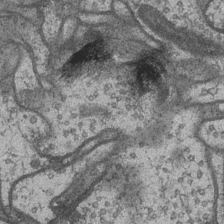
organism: Drosophila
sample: Optic medulla